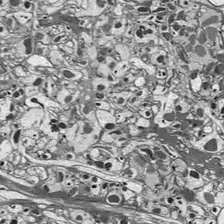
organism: Drosophila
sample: Optic lobe